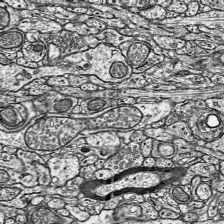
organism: Mouse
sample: Visual Cortex